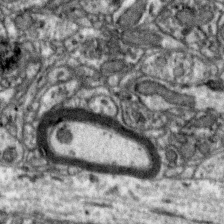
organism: Zebra finch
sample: Brain